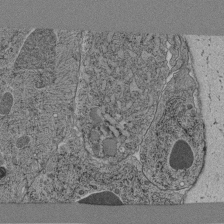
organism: C. elegans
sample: C. elegans pharynx